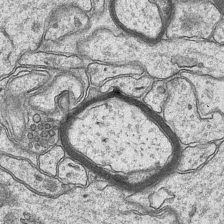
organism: Mouse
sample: CA1 Hippocampus